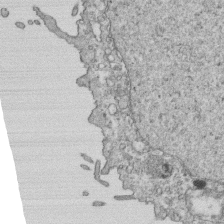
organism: Human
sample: HeLa cell HIV synapse